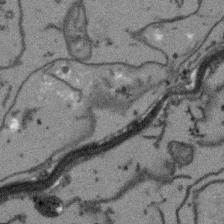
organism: Arabidopsis thaliana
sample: Root tip